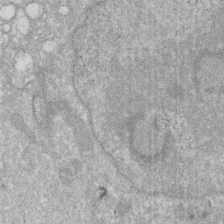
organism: Human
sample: HIV infected U937 cells